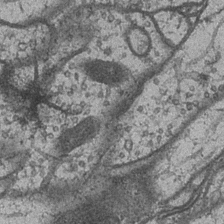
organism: Drosophila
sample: Optic medulla